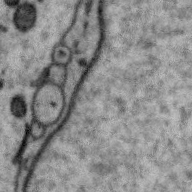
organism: Zebra finch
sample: Brain